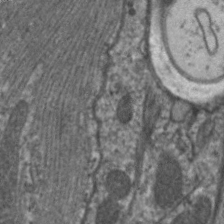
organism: C. elegans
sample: Pharynx